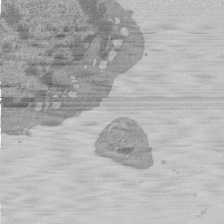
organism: Mouse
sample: Activated Pmel transgenic CD8+ T Cells